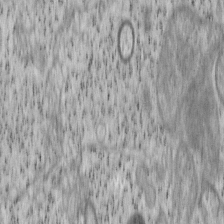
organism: Human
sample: HeLa cells